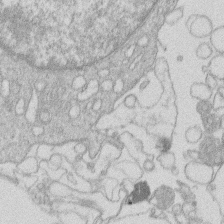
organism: Human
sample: Macrophage cells